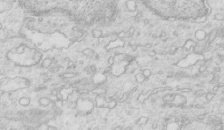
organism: Mouse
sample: Multiciliated cells